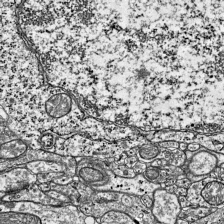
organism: Mouse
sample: Visual Cortex